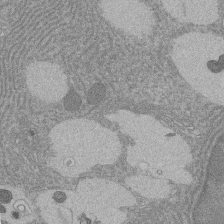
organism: Rat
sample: Salivary granule